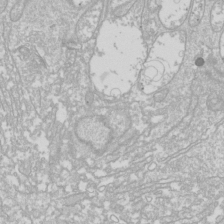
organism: Drosophila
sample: Cell division; meiosis; drosophila spermatocytes